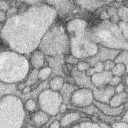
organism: Rabbit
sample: Retina